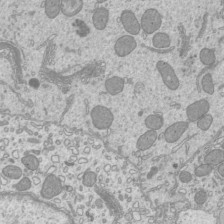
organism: Mouse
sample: Cilia; mouse epididymis